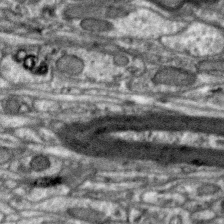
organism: Zebra finch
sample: Brain